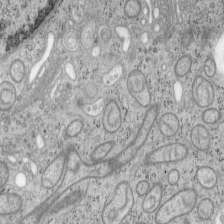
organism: Mouse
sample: OT-I killer T cells with ID8 ovarian cancer cells